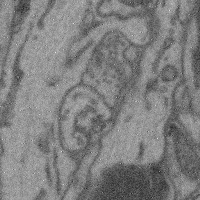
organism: Mouse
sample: Cerebral cortex